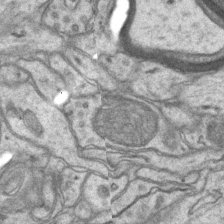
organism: Mouse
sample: CA1 Hippocampus